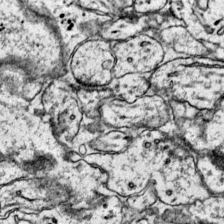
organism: Mouse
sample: Primary visual cortex